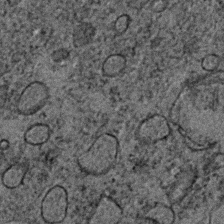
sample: Trachea